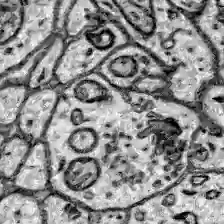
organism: Zebrafish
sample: Brain